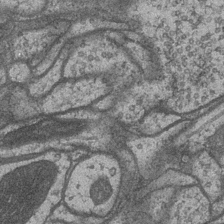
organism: Drosophila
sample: Optic medulla